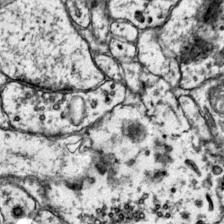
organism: Mouse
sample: Primary visual cortex